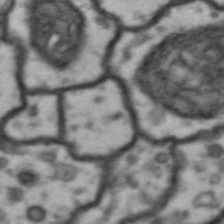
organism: Drosophila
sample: Brain